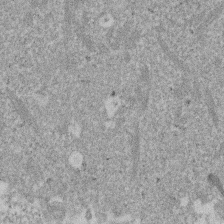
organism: Mouse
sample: Dividing mouse embryo 1 cell stage